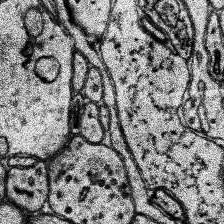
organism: Human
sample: Temporal Lobe